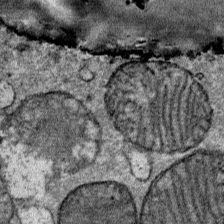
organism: Mouse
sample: Mouse Salivary gland